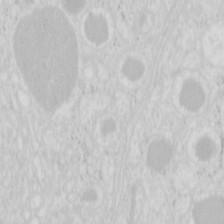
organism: Mouse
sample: Pancreas